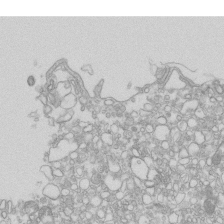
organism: Mouse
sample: Macrophages